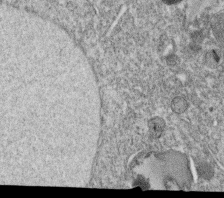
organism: C. elegans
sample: C. elegans oocyte; sperm cells